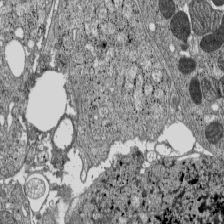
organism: C57BL Mouse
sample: Pancreatic islet